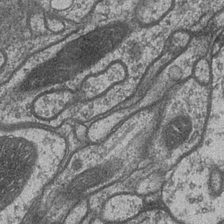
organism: Drosophila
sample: Optic medulla